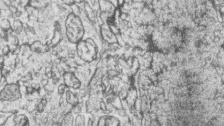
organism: Zebrafish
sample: synaptic ribbons in rod cells and cone cells